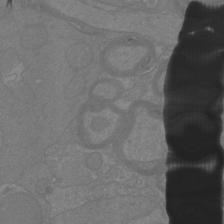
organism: Mouse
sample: Cortical neurons